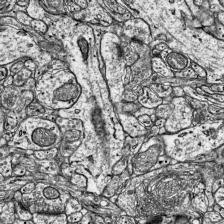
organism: Mouse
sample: Visual Cortex